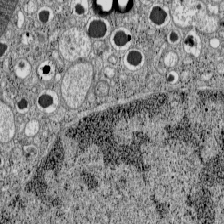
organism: C57BL Mouse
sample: Pancreatic islet